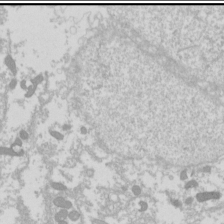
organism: Drosophila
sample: Cell division; meiosis; drosophila spermatocytes